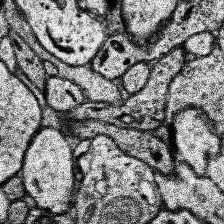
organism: Human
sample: Temporal Lobe